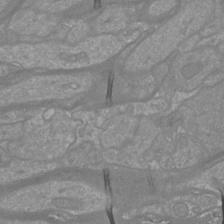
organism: Mouse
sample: Cortical neurons